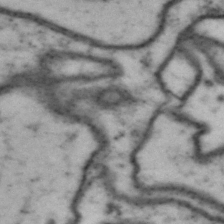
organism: Drosophila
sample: Brain